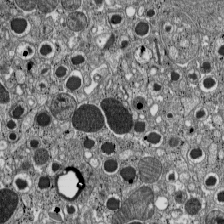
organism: C57BL Mouse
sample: Pancreatic islet